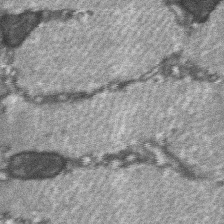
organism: C57BL Mouse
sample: Soleus